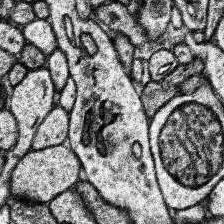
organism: Human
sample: Temporal Lobe